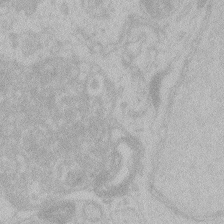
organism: Zebrafish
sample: Macrophage infected with Toxoplasma gondii